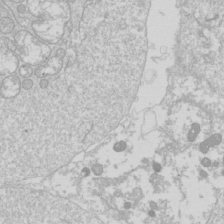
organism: Drosophila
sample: Cell division; meiosis; drosophila spermatocytes